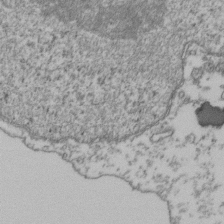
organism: Human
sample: Activated Jurkat CD4+ T cells